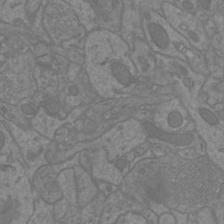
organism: Mouse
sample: Cortical neurons